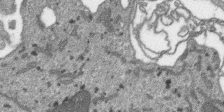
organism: Human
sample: Lung epithelial cells infected with SARS-CoV-2